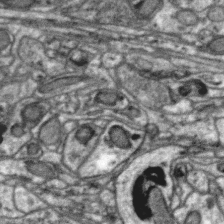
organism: Zebra finch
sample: Brain